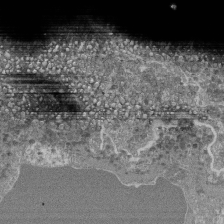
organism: Mouse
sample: Glomerulus